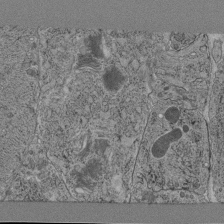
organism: C. elegans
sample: C. elegans pharynx